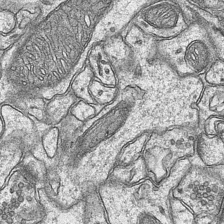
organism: Mouse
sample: CA1 Hippocampus